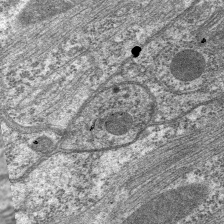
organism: C. elegans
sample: Pharynx